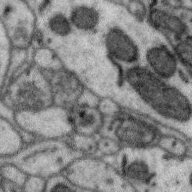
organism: Zebra finch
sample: Brain